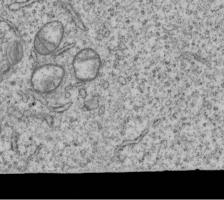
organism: Human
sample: MDA-MB-231 cells